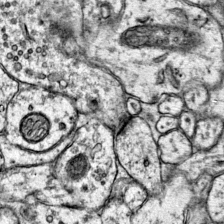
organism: Mouse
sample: Primary visual cortex